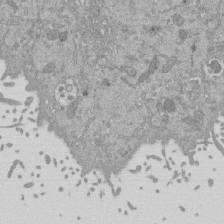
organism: Mouse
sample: ED-1 cell nuclei; centrioles